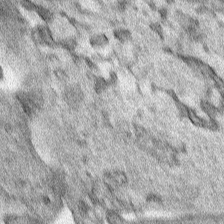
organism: Human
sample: Mitochondria in HCT116 cells